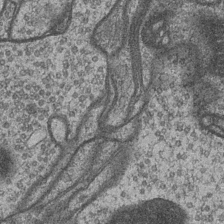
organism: Drosophila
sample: Optic medulla